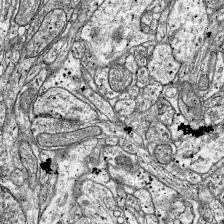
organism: Mouse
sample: Visual Cortex